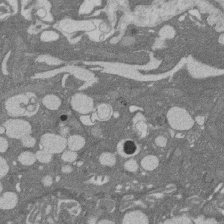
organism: Rat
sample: Salivary granule